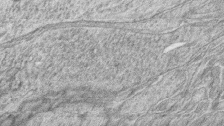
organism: Zebrafish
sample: synaptic ribbons in rod cells and cone cells